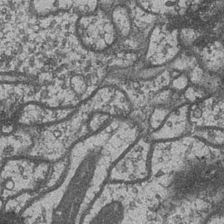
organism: Drosophila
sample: Optic medulla